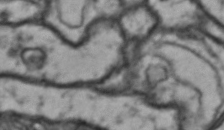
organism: Drosophila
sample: Brain